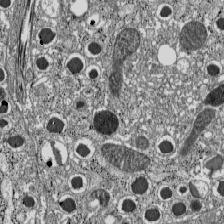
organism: C57BL Mouse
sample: Pancreatic islet